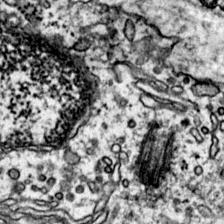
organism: Mouse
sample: Primary visual cortex